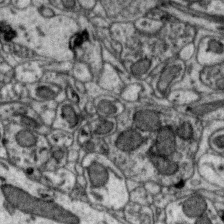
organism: Zebra finch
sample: Brain